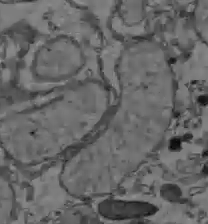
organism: C57BL Mouse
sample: Liver